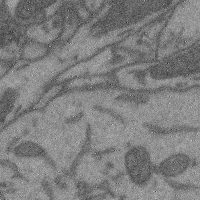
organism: Mouse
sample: Cerebral cortex